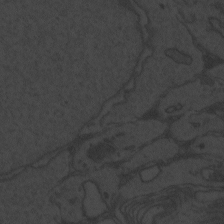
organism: Zebrafish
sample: Macrophage infected with Toxoplasma gondii